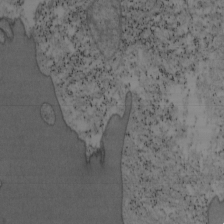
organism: Mouse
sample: OT-I killer T cells with ID8 ovarian cancer cells